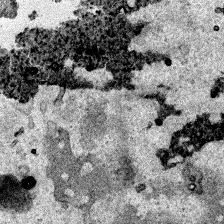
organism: Human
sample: Mitochondria in HCT116 cells